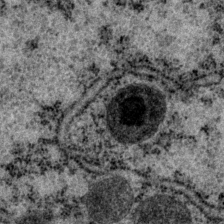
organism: P. pacificus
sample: Pharynx